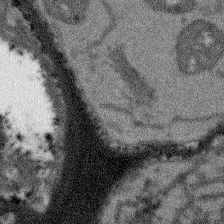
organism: Arabidopsis thaliana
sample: Root tip